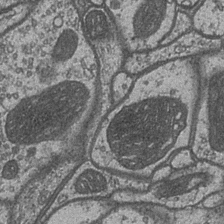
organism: Drosophila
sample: Optic medulla